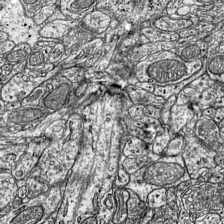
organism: Mouse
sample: Visual Cortex